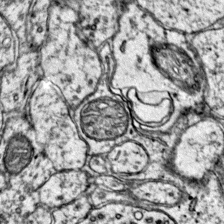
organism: Mouse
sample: Primary visual cortex